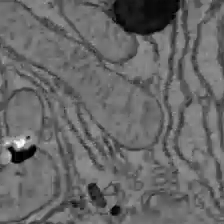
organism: C57BL Mouse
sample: Liver